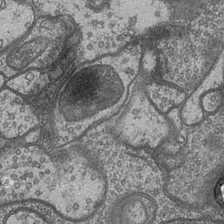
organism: Drosophila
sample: Optic medulla